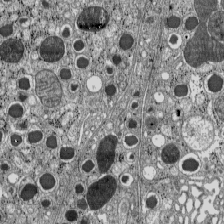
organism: C57BL Mouse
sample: Pancreatic islet